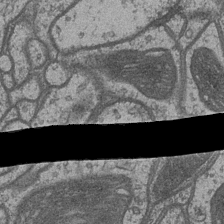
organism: Drosophila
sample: Optic medulla